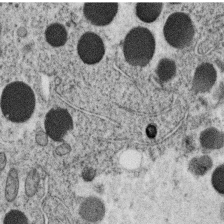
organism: C. elegans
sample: C. elegans oocyte; sperm cells